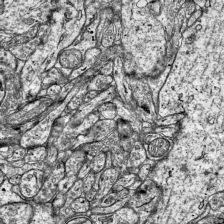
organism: Mouse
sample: Visual Cortex